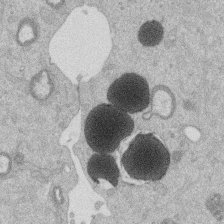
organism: Mouse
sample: Dividing mouse embryo 1 cell stage